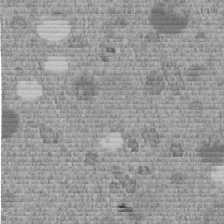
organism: C. elegans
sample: C. elegans embryo early stage